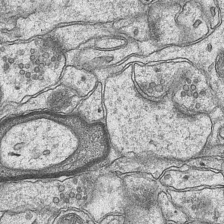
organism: Mouse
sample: CA1 Hippocampus